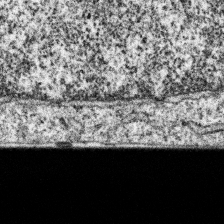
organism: Human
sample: HeLa cells